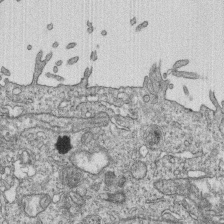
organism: Human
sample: HeLa cell HIV synapse